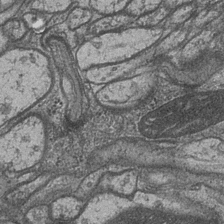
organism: Drosophila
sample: Optic medulla